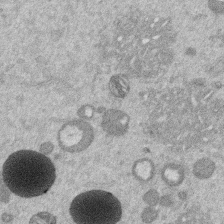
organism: Mouse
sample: Dividing mouse embryo 1 cell stage